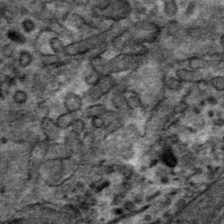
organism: Mouse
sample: Mouse hepatocytes